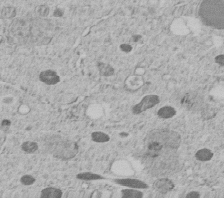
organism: C. elegans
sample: C. elegans embryo early stage